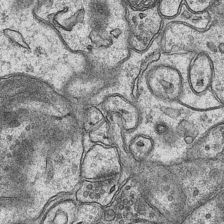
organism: Mouse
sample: CA1 Hippocampus